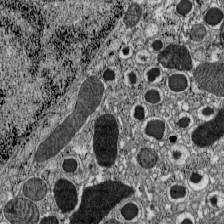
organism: C57BL Mouse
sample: Pancreatic islet